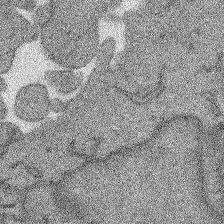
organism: Human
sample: HeLa cells